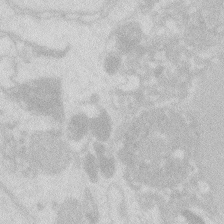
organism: Zebrafish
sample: Macrophage